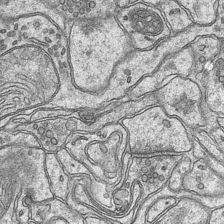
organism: Mouse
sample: CA1 Hippocampus